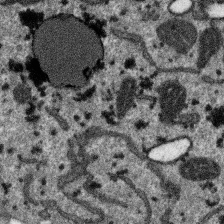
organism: Human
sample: Lung epithelial cells infected with SARS-CoV-2